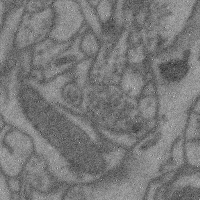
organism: Mouse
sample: Cerebral cortex